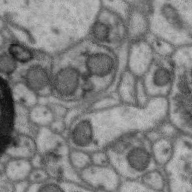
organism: Zebra finch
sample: Brain